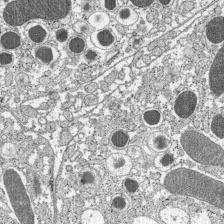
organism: C57BL Mouse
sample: Pancreatic islet